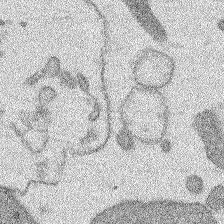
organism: Human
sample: HeLa cells